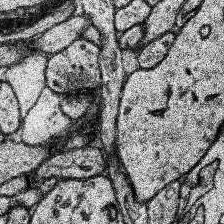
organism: Human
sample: Temporal Lobe